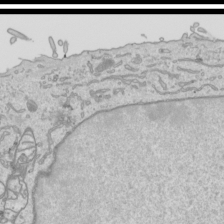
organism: Human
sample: Mitochondria in HCT116 cells